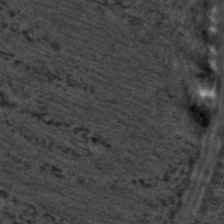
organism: C. elegans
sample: C. elegans embryo